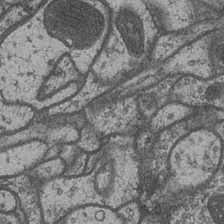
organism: Drosophila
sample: Optic medulla